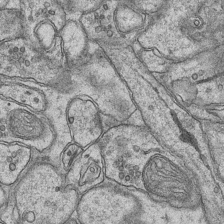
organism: Mouse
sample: CA1 Hippocampus